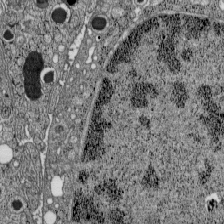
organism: C57BL Mouse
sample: Pancreatic islet